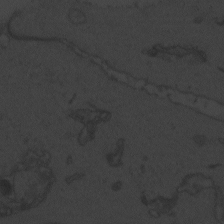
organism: Zebrafish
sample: Macrophage infected with Toxoplasma gondii